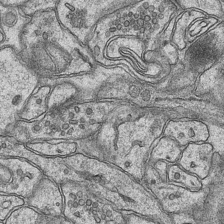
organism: Mouse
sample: CA1 Hippocampus